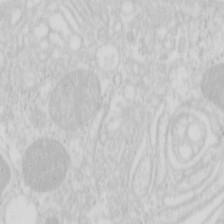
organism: Mouse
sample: Pancreas